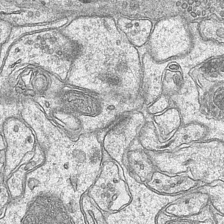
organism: Mouse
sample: CA1 Hippocampus